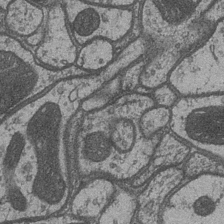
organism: Drosophila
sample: Optic medulla